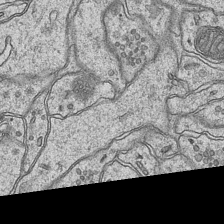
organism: Mouse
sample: CA1 Hippocampus